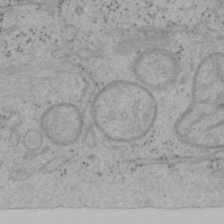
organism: Human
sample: HeLa cells